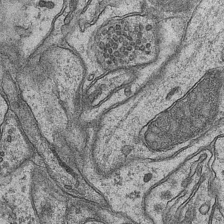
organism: Mouse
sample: CA1 Hippocampus